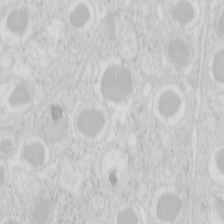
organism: Mouse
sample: Pancreas